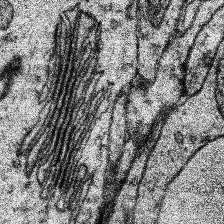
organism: Human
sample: Temporal Lobe